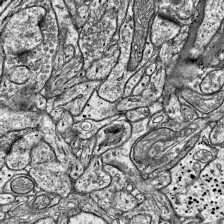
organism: Mouse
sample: Visual Cortex